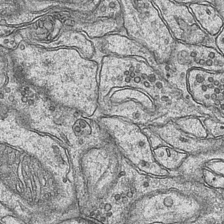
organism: Mouse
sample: CA1 Hippocampus